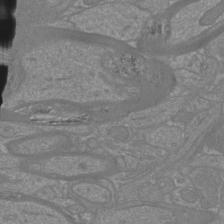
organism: Mouse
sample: Cortical neurons